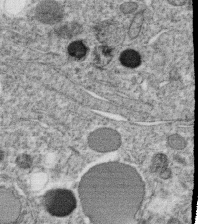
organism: C. elegans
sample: C. elegans oocyte; sperm cells